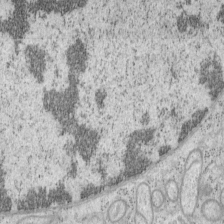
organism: Mouse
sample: OT-I killer T cells with ID8 ovarian cancer cells